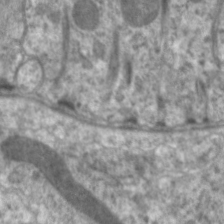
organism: C. elegans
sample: Pharynx